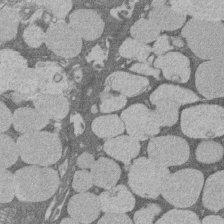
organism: Rat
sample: Salivary granule